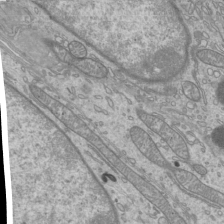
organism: Mouse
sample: Cilia; mouse epididymis